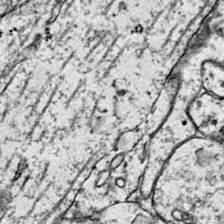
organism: Mouse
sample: Primary visual cortex